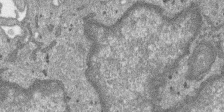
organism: Human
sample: Lung epithelial cells infected with SARS-CoV-2